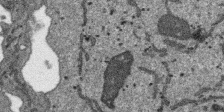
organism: Human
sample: Lung epithelial cells infected with SARS-CoV-2